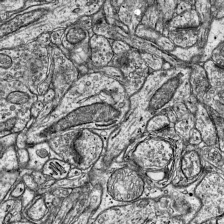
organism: Mouse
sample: Visual Cortex